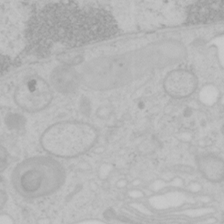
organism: Mouse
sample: OT-I killer T cells with ID8 ovarian cancer cells